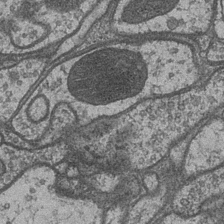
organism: Drosophila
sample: Optic medulla